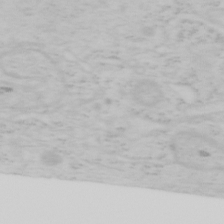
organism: Mouse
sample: OT-I killer T cells with ID8 ovarian cancer cells